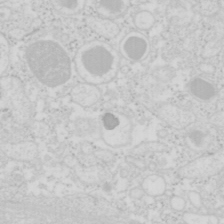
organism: Mouse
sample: Pancreas